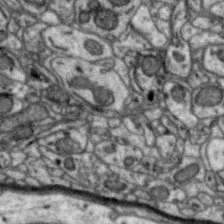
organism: Zebra finch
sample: Brain